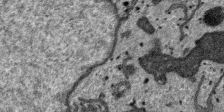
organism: Human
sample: Lung epithelial cells, uninfected (mock) control